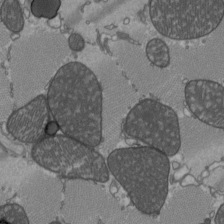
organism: C57BL Mouse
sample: Heart